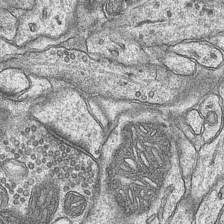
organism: Mouse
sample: CA1 Hippocampus